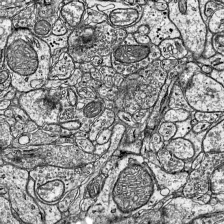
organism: Mouse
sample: Visual Cortex